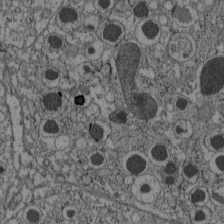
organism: C57BL Mouse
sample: Pancreatic islet